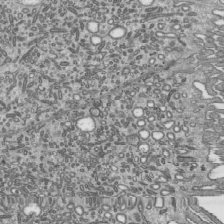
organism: Mouse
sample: Mouse epididymis efferent ductule cilia